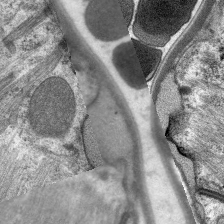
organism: C. elegans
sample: Pharynx